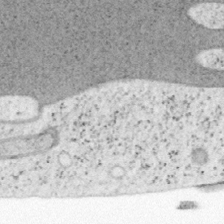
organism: Mouse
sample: OT-I killer T cells with ID8 ovarian cancer cells